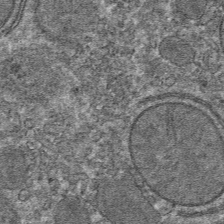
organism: Mouse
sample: Mouse hepatocytes